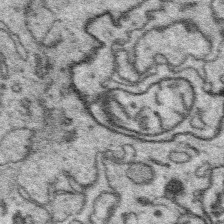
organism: Platynereis dumerilii